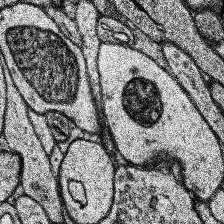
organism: Human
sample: Temporal Lobe